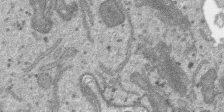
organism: Human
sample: Lung epithelial cells infected with SARS-CoV-2